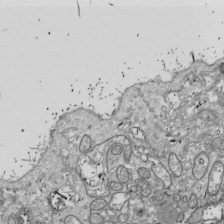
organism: Drosophila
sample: Cell division; meiosis; drosophila spermatocytes